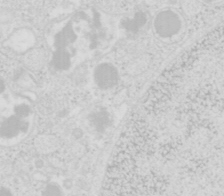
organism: Mouse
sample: Pancreas